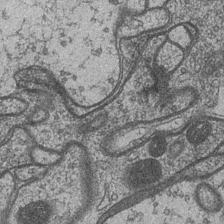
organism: Drosophila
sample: Optic medulla